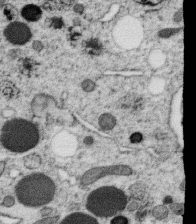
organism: C. elegans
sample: C. elegans oocyte; sperm cells